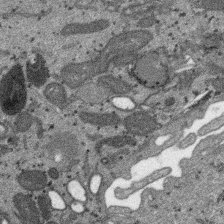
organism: Human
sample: Lung epithelial cells infected with SARS-CoV-2